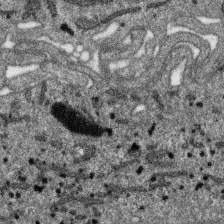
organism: Human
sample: Lung epithelial cells infected with SARS-CoV-2